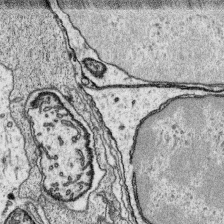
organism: Platynereis dumerilii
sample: Parapodia